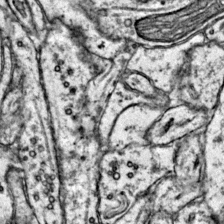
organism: Mouse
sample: Primary visual cortex